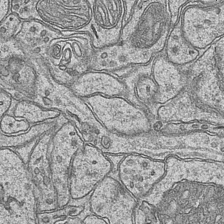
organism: Mouse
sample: CA1 Hippocampus